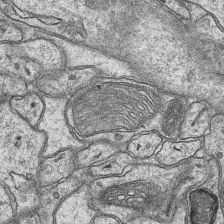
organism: Mouse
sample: CA1 Hippocampus